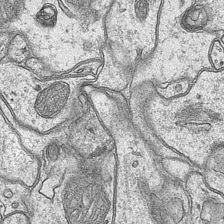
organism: Mouse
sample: CA1 Hippocampus